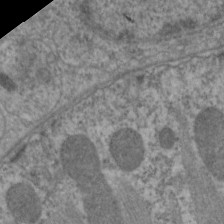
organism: C. elegans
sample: Pharynx